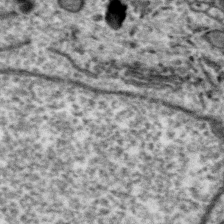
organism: Zebra finch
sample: Brain